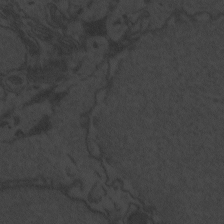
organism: Zebrafish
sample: Macrophage infected with Toxoplasma gondii